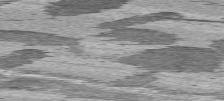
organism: C57BL Mouse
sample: Heart